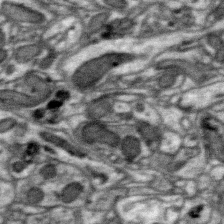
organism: Zebra finch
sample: Brain